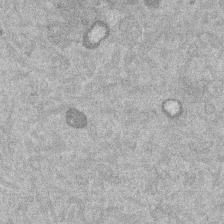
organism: Mouse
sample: Dividing mouse embryo 1 cell stage